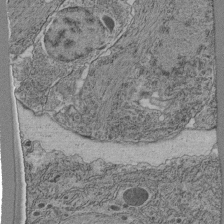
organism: C. elegans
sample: C. elegans pharynx